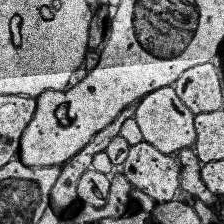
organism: Human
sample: Temporal Lobe